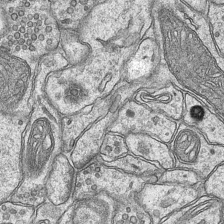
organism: Mouse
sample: CA1 Hippocampus